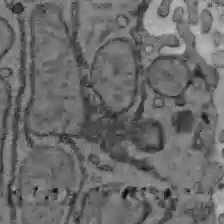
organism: C57BL Mouse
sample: Liver